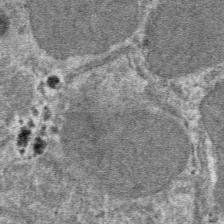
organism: Mouse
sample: Mouse hepatocytes